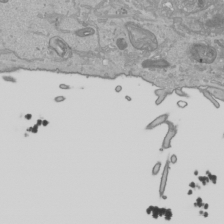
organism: Human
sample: Mitochondria in HCT116 cells